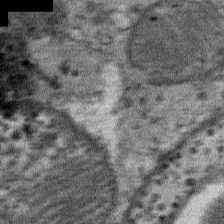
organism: Mouse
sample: Mouse Salivary gland